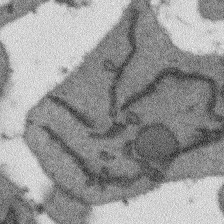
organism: Arabidopsis thaliana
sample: Root tip